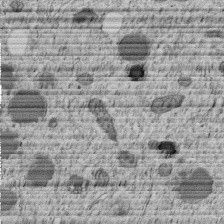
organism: C. elegans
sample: C. elegans embryo early stage